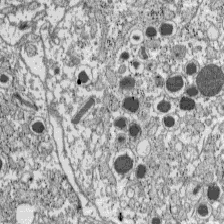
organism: C57BL Mouse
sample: Pancreatic islet